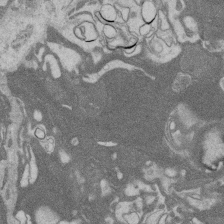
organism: Rat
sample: Salivary granule